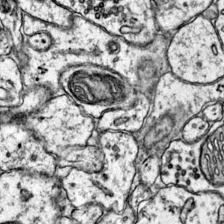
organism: Mouse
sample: Primary visual cortex